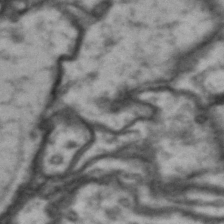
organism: Drosophila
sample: Brain